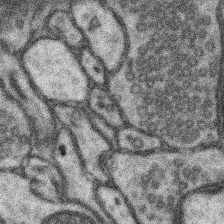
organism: Mouse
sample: Somatosensory cortex neuropil